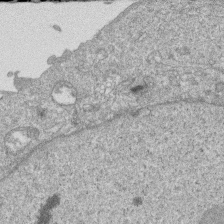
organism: Human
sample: HeLa cell HIV synapse